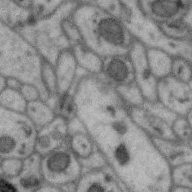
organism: Zebra finch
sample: Brain